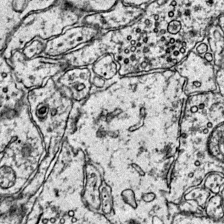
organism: Mouse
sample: Primary visual cortex